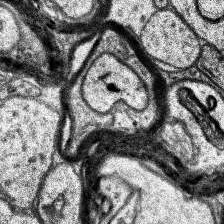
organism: Human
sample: Temporal Lobe